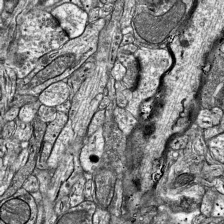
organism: Mouse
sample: Visual Cortex